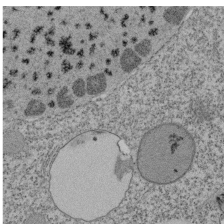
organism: Tetrahymena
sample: Cilia in tetrahymena